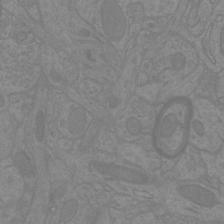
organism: Mouse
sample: Cortical neurons